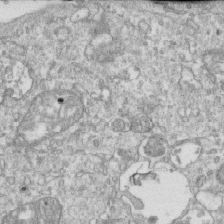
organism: Mouse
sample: Activated OT-1 CD8+ T cells